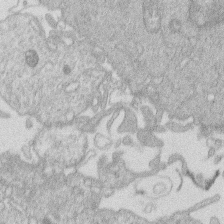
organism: Human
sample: Macrophage cells